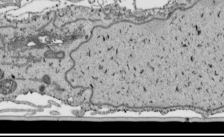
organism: Human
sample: Mitochondria in HCT116 cells